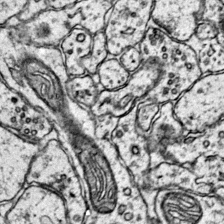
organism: Mouse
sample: Primary visual cortex